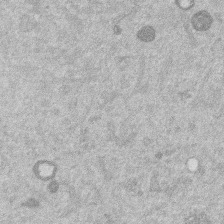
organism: Mouse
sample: Dividing mouse embryo 1 cell stage